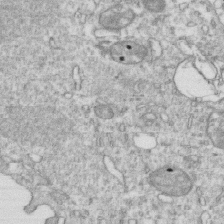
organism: Mouse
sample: Activated OT-1 CD8+ T cells